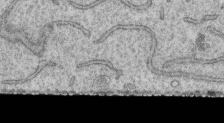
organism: Human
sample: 1205lu cells